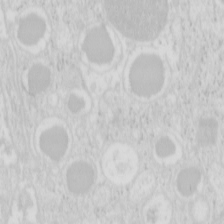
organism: Mouse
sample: Pancreas